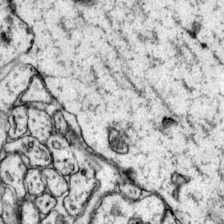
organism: Mouse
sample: Primary visual cortex